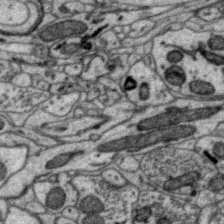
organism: Zebra finch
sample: Brain